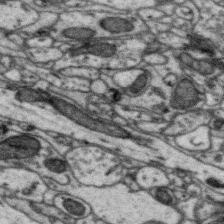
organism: Zebra finch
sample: Brain